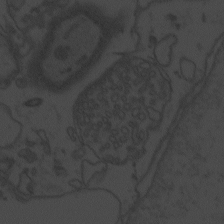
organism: Zebrafish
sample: Macrophage infected with Toxoplasma gondii